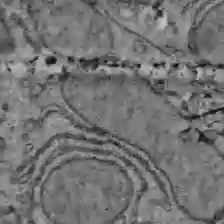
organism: C57BL Mouse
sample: Liver